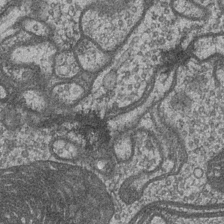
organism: Drosophila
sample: Optic medulla